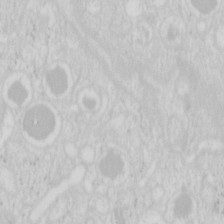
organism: Mouse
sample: Pancreas